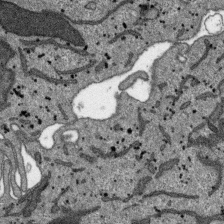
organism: Human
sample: Lung epithelial cells, uninfected (mock) control